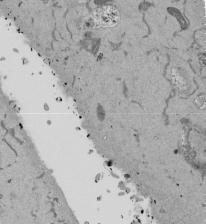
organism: Mouse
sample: ED-1 cell nuclei; centrioles